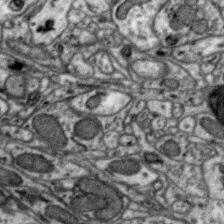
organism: Zebra finch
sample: Brain